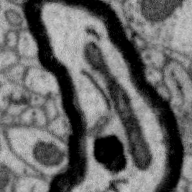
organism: Zebra finch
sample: Brain